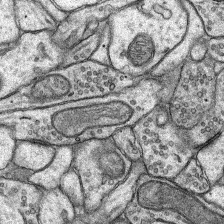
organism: Rat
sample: Hippocampus